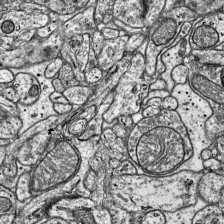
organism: Mouse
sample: Visual Cortex